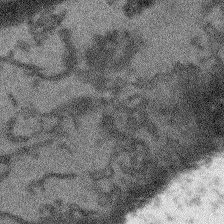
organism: Arabidopsis thaliana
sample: Root tip